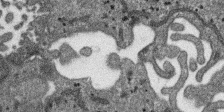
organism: Human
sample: Lung epithelial cells infected with SARS-CoV-2